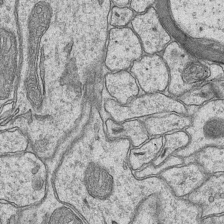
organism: Mouse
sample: CA1 Hippocampus